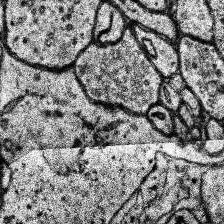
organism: Human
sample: Temporal Lobe